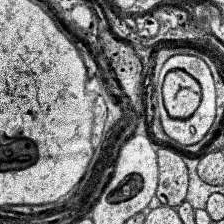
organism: Human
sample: Temporal Lobe